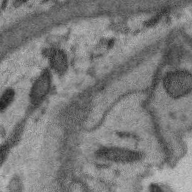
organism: Zebra finch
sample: Brain